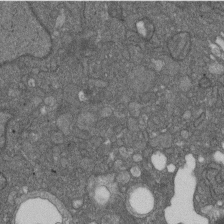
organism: Drosophila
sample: Nephrocyte